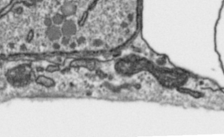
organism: Toxoplasma gondii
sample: Parasites in a vacuole inside a host cell